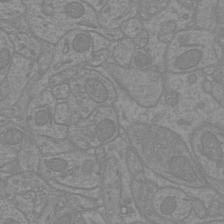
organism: Mouse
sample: Cortical neurons